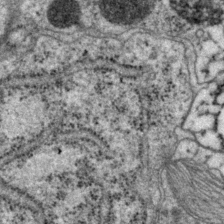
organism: P. pacificus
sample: Pharynx